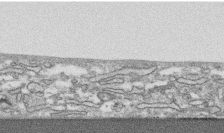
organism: Human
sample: CRL-1474